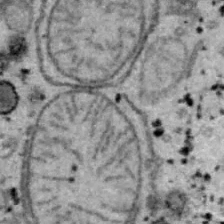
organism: Mouse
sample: Liver from an obese (ob/ob) mouse